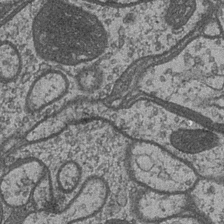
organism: Drosophila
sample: Optic medulla